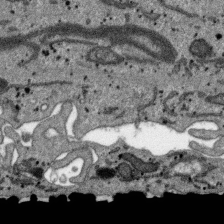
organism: Human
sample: Lung epithelial cells, uninfected (mock) control